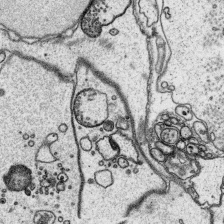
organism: Platynereis dumerilii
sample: Parapodia